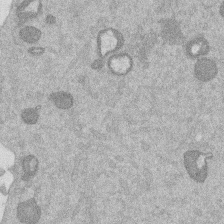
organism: Mouse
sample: Dividing mouse embryo 1 cell stage